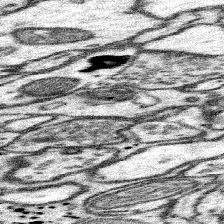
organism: Mouse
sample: Somatosensory cortex neuropil